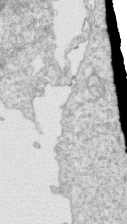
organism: Human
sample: HeLa cell HIV synapse